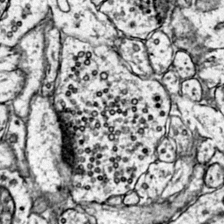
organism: Mouse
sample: Primary visual cortex